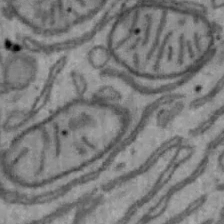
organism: Mouse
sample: Liver